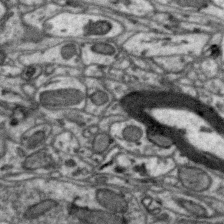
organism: Zebra finch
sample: Brain